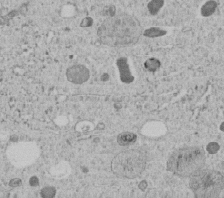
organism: C. elegans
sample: C. elegans embryo early stage